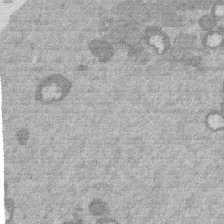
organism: Mouse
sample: Dividing mouse embryo 1 cell stage